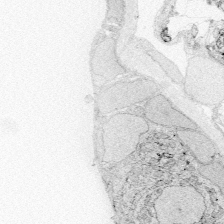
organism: Zebrafish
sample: Whole-Brain